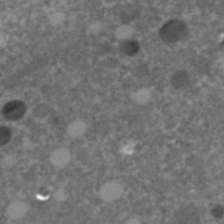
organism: C. elegans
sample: C. elegans embryo